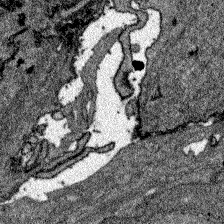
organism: Zebrafish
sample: Larval olfactory bulb